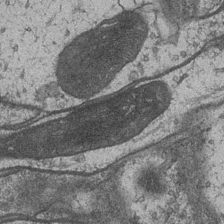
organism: Drosophila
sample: Optic medulla